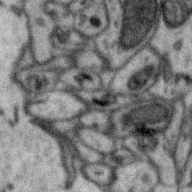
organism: Zebra finch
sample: Brain